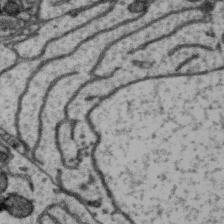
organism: Zebra finch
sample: Brain